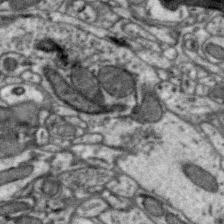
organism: Zebra finch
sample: Brain